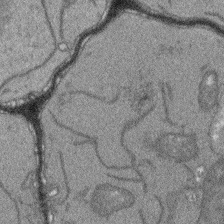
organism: Arabidopsis thaliana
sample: Root tip